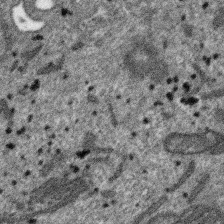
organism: Human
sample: Lung epithelial cells infected with SARS-CoV-2